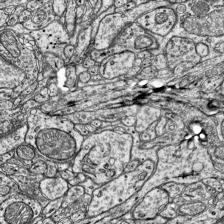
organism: Mouse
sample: Visual Cortex